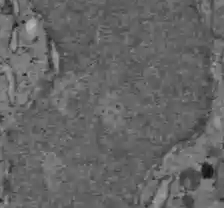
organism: C57BL Mouse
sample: Liver